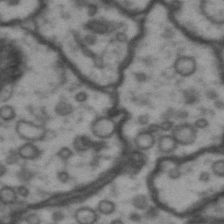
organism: Drosophila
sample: Brain